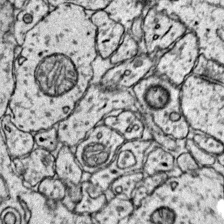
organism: Mouse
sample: Primary visual cortex